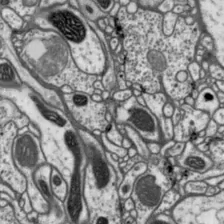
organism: Drosophila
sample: Protocerebral bridge